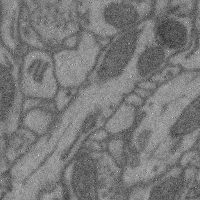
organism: Mouse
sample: Cerebral cortex